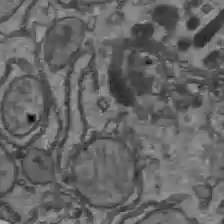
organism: C57BL Mouse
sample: Liver